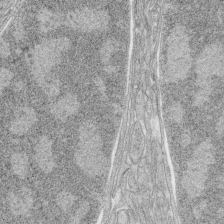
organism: Zebrafish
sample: synaptic ribbons in rod cells and cone cells